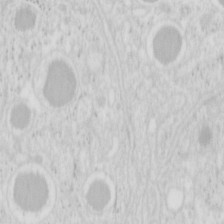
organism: Mouse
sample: Pancreas